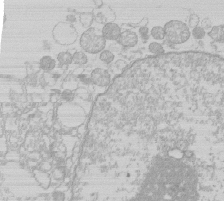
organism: Human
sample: Macrophage cells